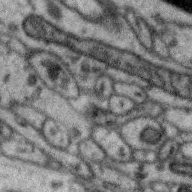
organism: Zebra finch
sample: Brain